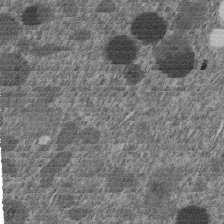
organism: C. elegans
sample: C. elegans embryo early stage